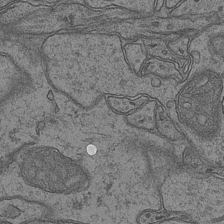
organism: Mouse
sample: CA1 Hippocampus